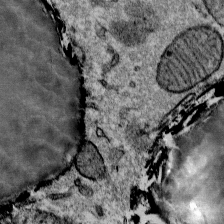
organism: Mouse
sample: Mouse Salivary gland